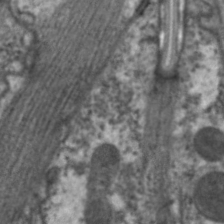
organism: C. elegans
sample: Pharynx